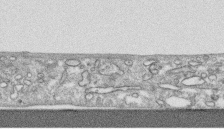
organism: Human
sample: CRL-1474